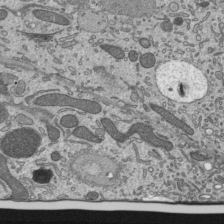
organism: Mouse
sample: Mouse epididymis efferent ductule cilia